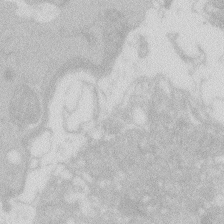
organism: Zebrafish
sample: Macrophage